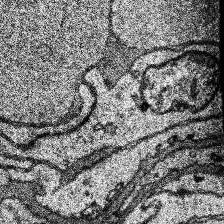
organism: Human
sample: Temporal Lobe